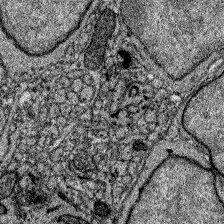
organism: Zebrafish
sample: Larval olfactory bulb